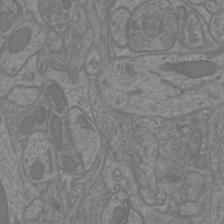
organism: Mouse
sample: Cortical neurons